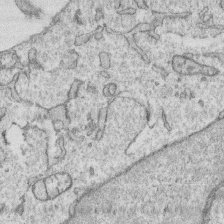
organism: Human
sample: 1205lu cells